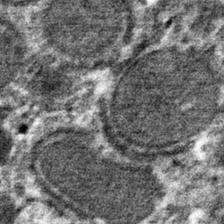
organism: Mouse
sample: Mouse hepatocytes